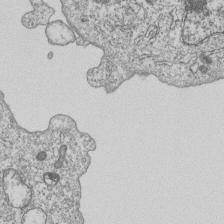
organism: Human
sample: MDA-MB-231 cells